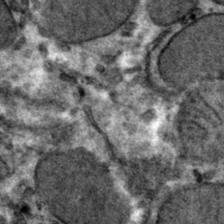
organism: Mouse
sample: Mouse hepatocytes